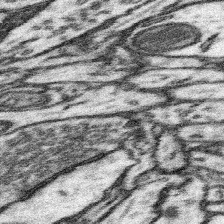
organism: Mouse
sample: Somatosensory cortex neuropil